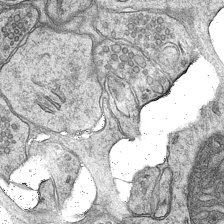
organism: Mouse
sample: CA1 Hippocampus